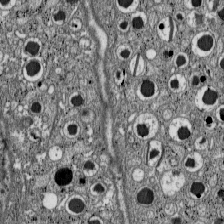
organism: C57BL Mouse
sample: Pancreatic islet